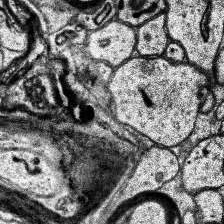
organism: Human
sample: Temporal Lobe